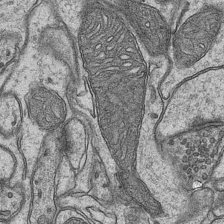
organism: Mouse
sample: CA1 Hippocampus